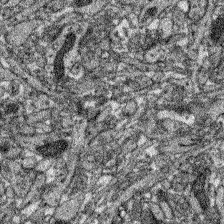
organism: Zebrafish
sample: Larval olfactory bulb